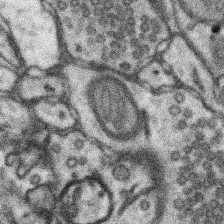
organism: Mouse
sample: Somatosensory cortex neuropil